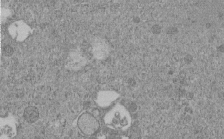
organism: C. elegans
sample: C. elegans embryo early stage